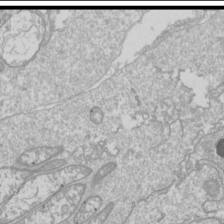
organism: Drosophila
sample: Cell division; meiosis; drosophila spermatocytes